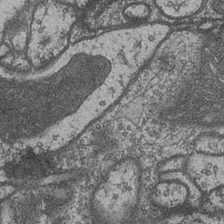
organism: Drosophila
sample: Optic medulla